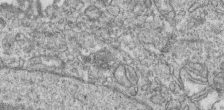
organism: Human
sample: HeLa cell HIV synapse